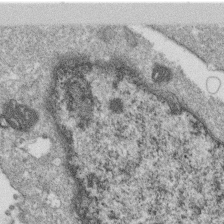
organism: African green monkey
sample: Vero E6 cells infected with SARS-CoV-2